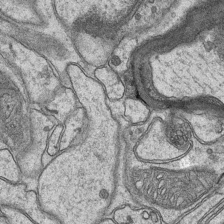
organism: Mouse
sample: CA1 Hippocampus